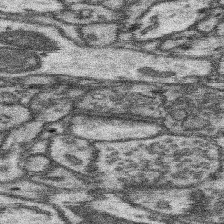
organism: Mouse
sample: Somatosensory cortex neuropil